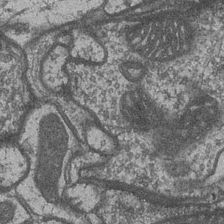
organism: Drosophila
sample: Optic medulla